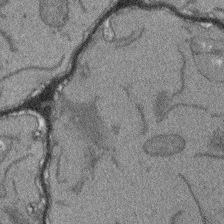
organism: Arabidopsis thaliana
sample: Root tip